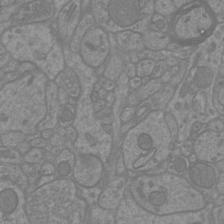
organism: Mouse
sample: Cortical neurons